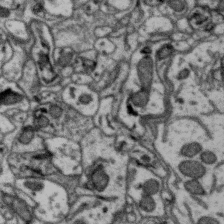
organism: Zebra finch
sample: Brain